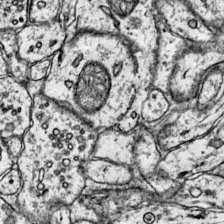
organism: Mouse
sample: Primary visual cortex